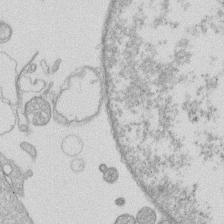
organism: Human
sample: Macrophage cells